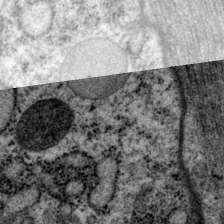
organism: P. pacificus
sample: Pharynx